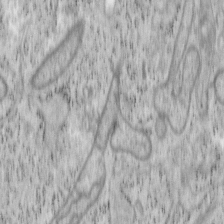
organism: Human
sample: HeLa cells